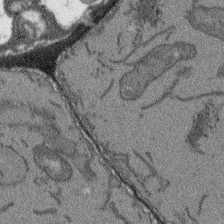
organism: Arabidopsis thaliana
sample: Root tip